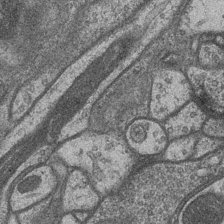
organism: Drosophila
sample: Optic medulla